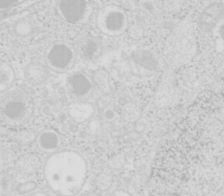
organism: Mouse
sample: Pancreas